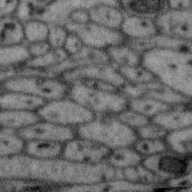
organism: Zebra finch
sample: Brain